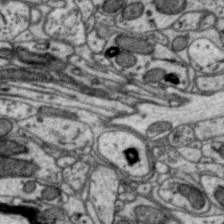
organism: Zebra finch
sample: Brain